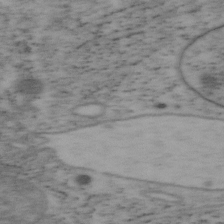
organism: Mouse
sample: OT-I killer T cells with ID8 ovarian cancer cells